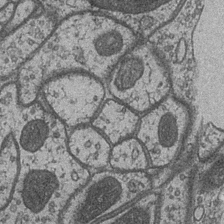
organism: Drosophila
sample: Optic medulla